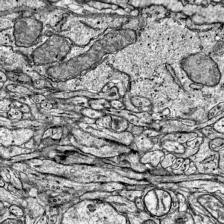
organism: Mouse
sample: Visual Cortex